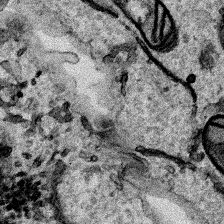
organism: Human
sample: Mitochondria in HCT116 cells